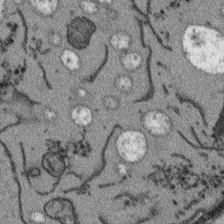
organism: Arabidopsis thaliana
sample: Root tip